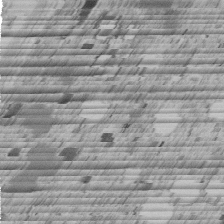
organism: C. elegans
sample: C. elegans embryo early stage